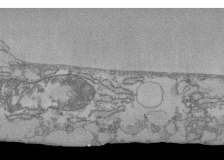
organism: Human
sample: Fibroblast cells